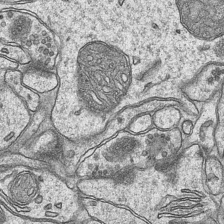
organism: Mouse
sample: CA1 Hippocampus